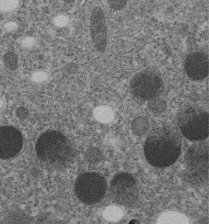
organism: C. elegans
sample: C. elegans embryo early stage